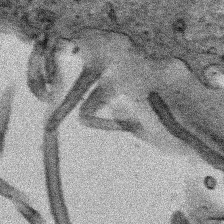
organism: Human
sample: Mitochondria in HCT116 cells